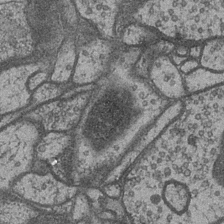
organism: Drosophila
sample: Optic medulla